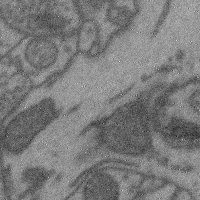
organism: Mouse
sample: Cerebral cortex